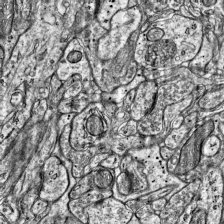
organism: Mouse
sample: Visual Cortex